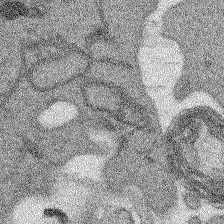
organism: Human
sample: HeLa cells